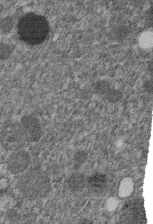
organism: C. elegans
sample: C. elegans embryo early stage